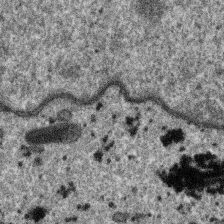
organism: Human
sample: Lung epithelial cells infected with SARS-CoV-2